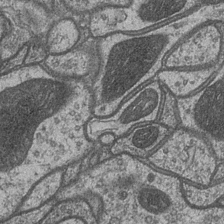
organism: Drosophila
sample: Optic medulla